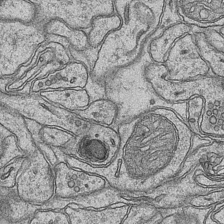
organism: Mouse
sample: CA1 Hippocampus